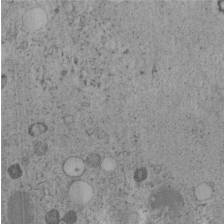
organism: C. elegans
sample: C. elegans embryo early stage